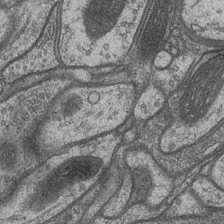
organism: Drosophila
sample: Optic medulla